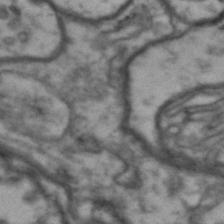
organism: Drosophila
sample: Brain